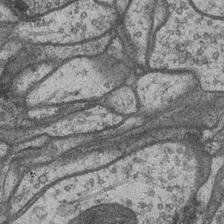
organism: Drosophila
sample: Optic medulla